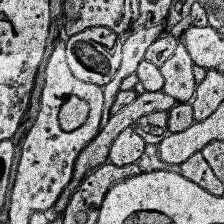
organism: Human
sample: Temporal Lobe